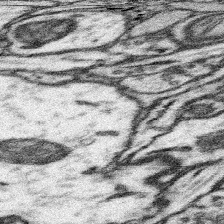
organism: Mouse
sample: Somatosensory cortex neuropil